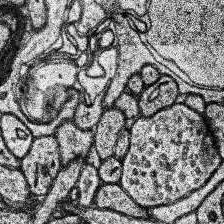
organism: Human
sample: Temporal Lobe